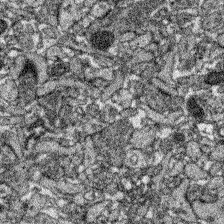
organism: Zebrafish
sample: Larval olfactory bulb